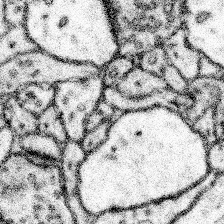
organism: Mouse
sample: Somatosensory cortex neuropil